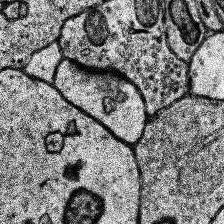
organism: Human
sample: Temporal Lobe